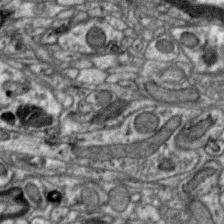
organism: Zebra finch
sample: Brain